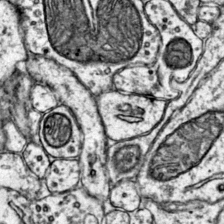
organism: Mouse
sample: Primary visual cortex